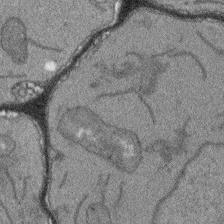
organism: Arabidopsis thaliana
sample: Root tip